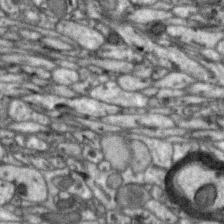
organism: Zebra finch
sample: Brain